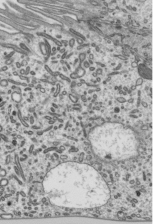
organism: Mouse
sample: Mouse epididymis efferent ductule cilia